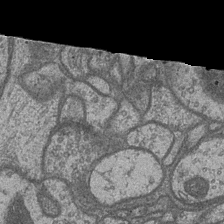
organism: Drosophila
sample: Optic medulla